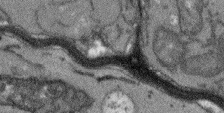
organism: Arabidopsis thaliana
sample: Root tip